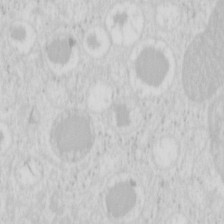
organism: Mouse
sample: Pancreas